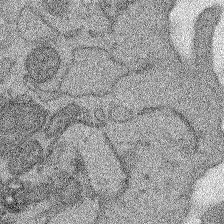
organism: Human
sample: HeLa cells